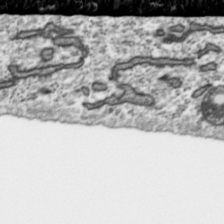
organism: Toxoplasma gondii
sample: Parasites in a vacuole inside a host cell